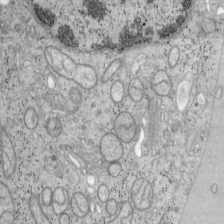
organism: Mouse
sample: OT-I killer T cells with ID8 ovarian cancer cells